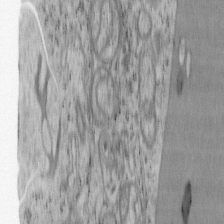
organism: Human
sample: HeLa cells